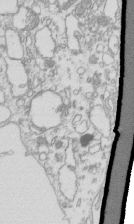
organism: Mouse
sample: Macrophages